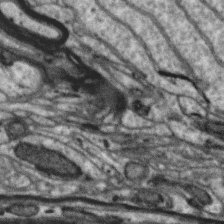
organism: Zebra finch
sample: Brain